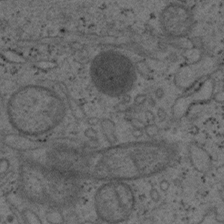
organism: Human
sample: HeLa cells